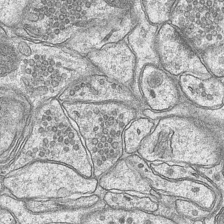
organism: Mouse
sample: CA1 Hippocampus